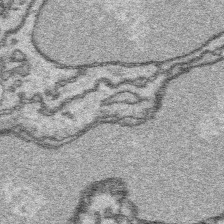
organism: Platynereis dumerilii